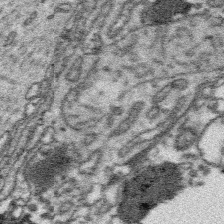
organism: Platynereis dumerilii